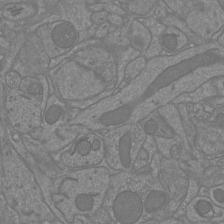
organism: Mouse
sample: Cortical neurons